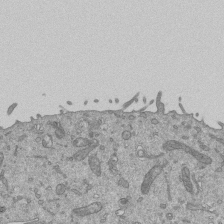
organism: Mouse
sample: ED-1 cell nuclei; centrioles